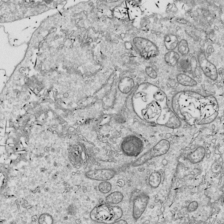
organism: Drosophila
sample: Cell division; meiosis; drosophila spermatocytes